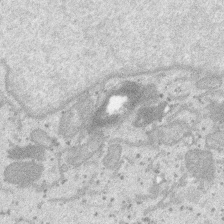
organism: Human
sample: Lung epithelial cells infected with SARS-CoV-2